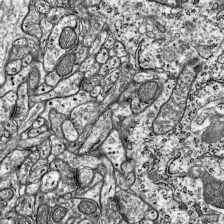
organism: Mouse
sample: Visual Cortex